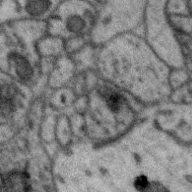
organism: Zebra finch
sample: Brain